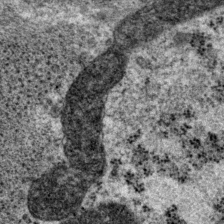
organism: P. pacificus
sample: Pharynx